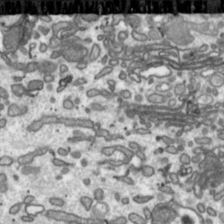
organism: Toxoplasma gondii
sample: Parasites in a vacuole inside a host cell